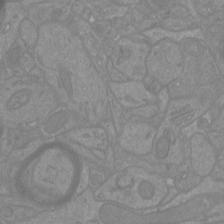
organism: Mouse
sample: Cortical neurons